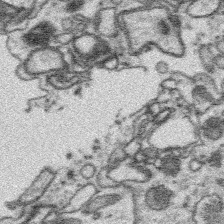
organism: Platynereis dumerilii